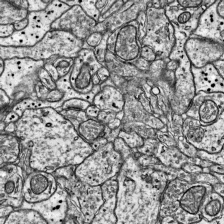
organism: Mouse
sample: Visual Cortex